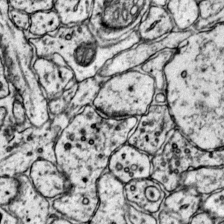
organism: Mouse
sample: Primary visual cortex